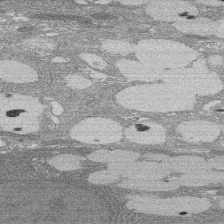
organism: Rat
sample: Salivary granule